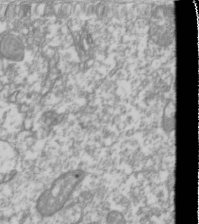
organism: Drosophila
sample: Cell division; meiosis; drosophila spermatocytes